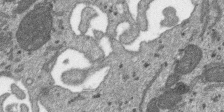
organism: Human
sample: Lung epithelial cells infected with SARS-CoV-2